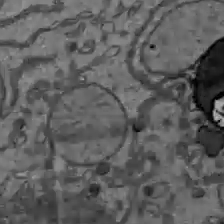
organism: C57BL Mouse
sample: Liver